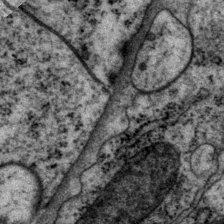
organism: P. pacificus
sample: Pharynx